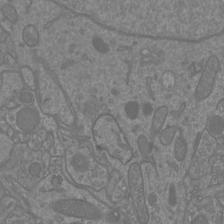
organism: Mouse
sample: Cortical neurons